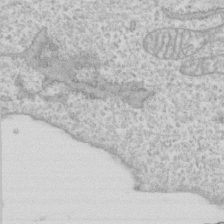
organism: Human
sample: CRL-1474